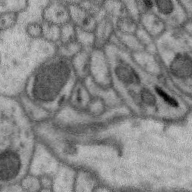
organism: Zebra finch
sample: Brain